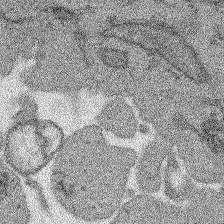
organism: Human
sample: HeLa cells